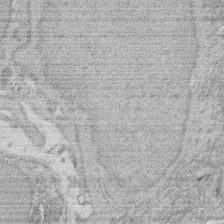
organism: Rat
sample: Salivary granule